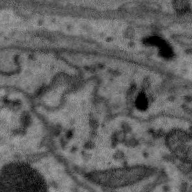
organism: Zebra finch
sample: Brain